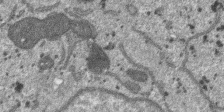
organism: Human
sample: Lung epithelial cells infected with SARS-CoV-2